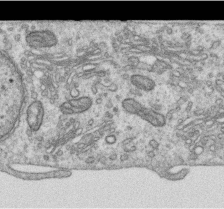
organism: Human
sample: Centriole in RPE cells